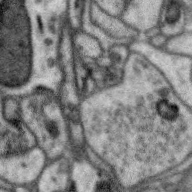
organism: Zebra finch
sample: Brain